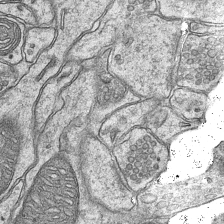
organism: Mouse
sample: CA1 Hippocampus